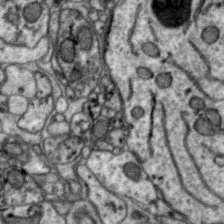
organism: Zebra finch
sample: Brain